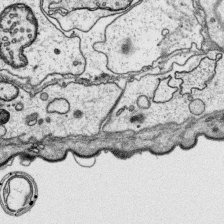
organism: Platynereis dumerilii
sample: Parapodia